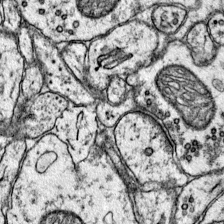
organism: Mouse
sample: Primary visual cortex